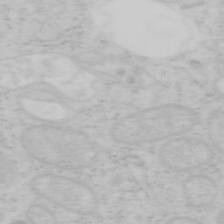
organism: Mouse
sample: OT-I killer T cells with ID8 ovarian cancer cells